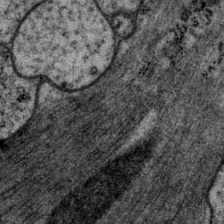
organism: P. pacificus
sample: Pharynx